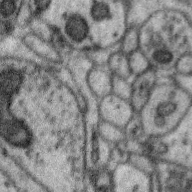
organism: Zebra finch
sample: Brain